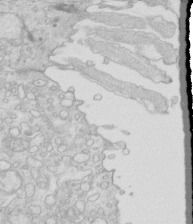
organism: Mouse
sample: Multiciliated cells